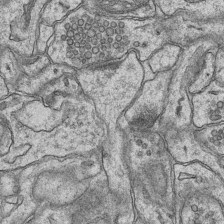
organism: Mouse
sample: CA1 Hippocampus